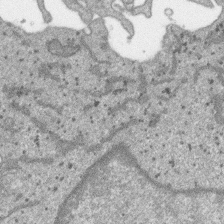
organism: Human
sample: Lung epithelial cells infected with SARS-CoV-2